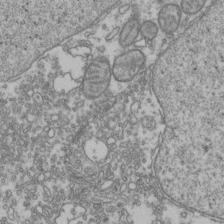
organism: Human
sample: Activated Jurkat CD4+ T cells